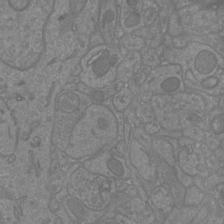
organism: Mouse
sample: Cortical neurons